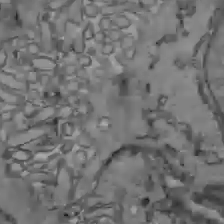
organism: C57BL Mouse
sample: Liver